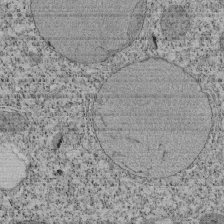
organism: Tetrahymena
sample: Cilia in tetrahymena